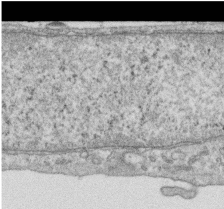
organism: Human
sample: Centriole in RPE cells